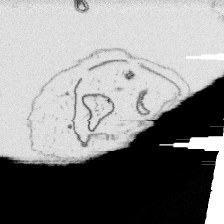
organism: Platynereis dumerilii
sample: Parapodia